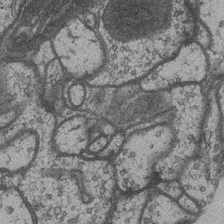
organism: Drosophila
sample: Optic medulla